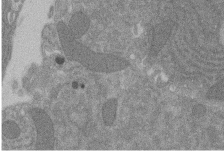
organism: Rat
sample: Salivary granule